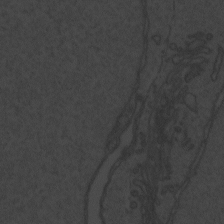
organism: Zebrafish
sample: Macrophage infected with Toxoplasma gondii